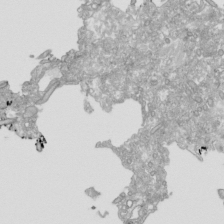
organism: Human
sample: Mitochondria in HCT116 cells